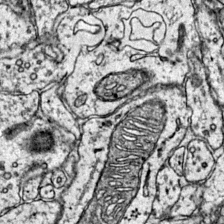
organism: Mouse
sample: Primary visual cortex